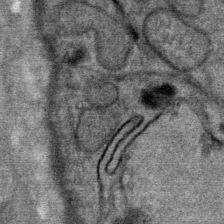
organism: Mouse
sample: Mouse Salivary gland